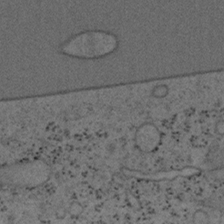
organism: Human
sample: HeLa cells